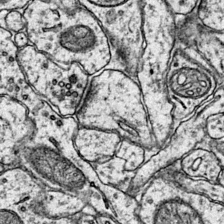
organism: Mouse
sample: Primary visual cortex